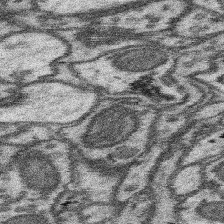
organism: Mouse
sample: Somatosensory cortex neuropil